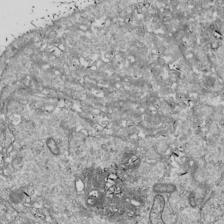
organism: Drosophila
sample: Cell division; meiosis; drosophila spermatocytes